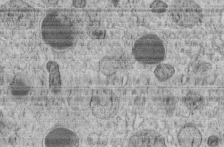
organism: C. elegans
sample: C. elegans embryo early stage